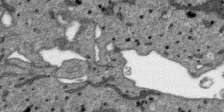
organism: Human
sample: Lung epithelial cells, uninfected (mock) control